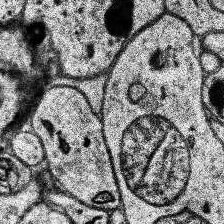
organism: Human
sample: Temporal Lobe